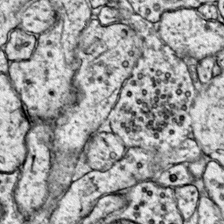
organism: Mouse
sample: Primary visual cortex